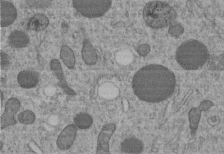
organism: C. elegans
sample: C. elegans embryo early stage